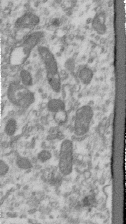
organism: Human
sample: Centriole in RPE cells